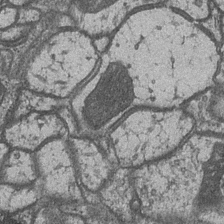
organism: Drosophila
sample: Optic medulla